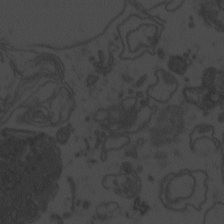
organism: Zebrafish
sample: Macrophage infected with Toxoplasma gondii